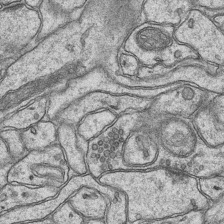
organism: Mouse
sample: CA1 Hippocampus